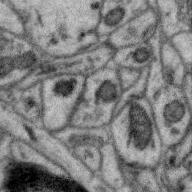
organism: Zebra finch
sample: Brain